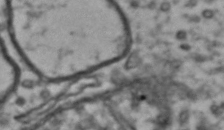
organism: Drosophila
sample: Brain